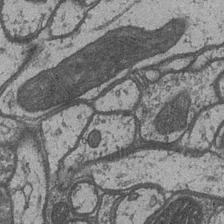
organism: Drosophila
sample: Optic medulla